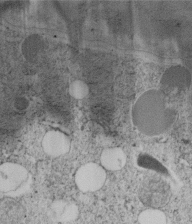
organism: C. elegans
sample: C. elegans embryo early stage